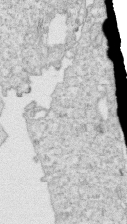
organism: Human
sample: HeLa cell HIV synapse